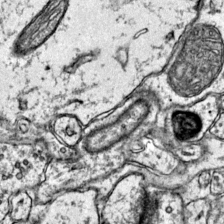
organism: Mouse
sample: Primary visual cortex